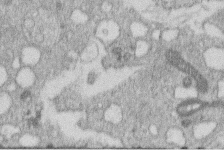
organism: Human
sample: Macrophage cells